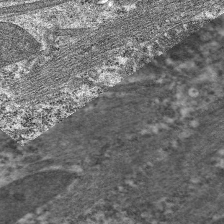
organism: C. elegans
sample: Pharynx